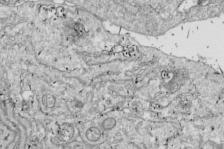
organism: Drosophila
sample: Cell division; meiosis; drosophila spermatocytes